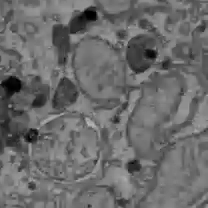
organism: C57BL Mouse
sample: Liver